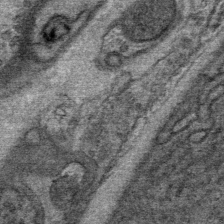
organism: Mouse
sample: Mouse Salivary gland